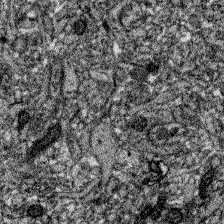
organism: Zebrafish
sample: Larval olfactory bulb